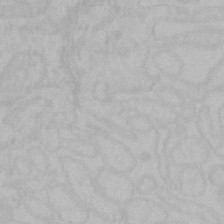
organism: Mouse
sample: Choroid plexus